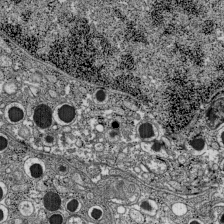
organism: C57BL Mouse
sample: Pancreatic islet